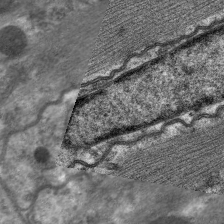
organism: C. elegans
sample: Pharynx